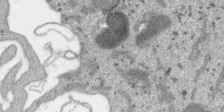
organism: Human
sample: Lung epithelial cells infected with SARS-CoV-2